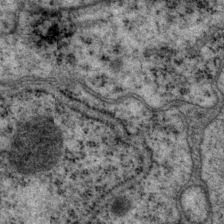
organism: P. pacificus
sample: Pharynx